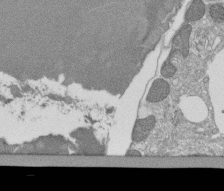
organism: Tetrahymena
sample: Cilia in tetrahymena